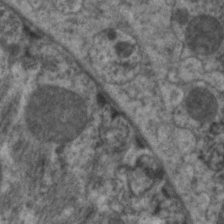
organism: C. elegans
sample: Pharynx